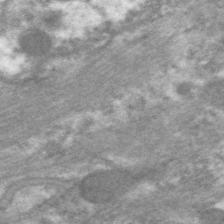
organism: C. elegans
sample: Pharynx